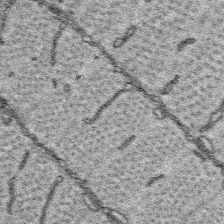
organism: Platynereis dumerilii